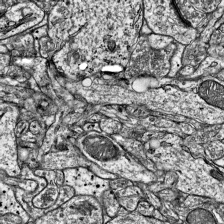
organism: Mouse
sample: Visual Cortex